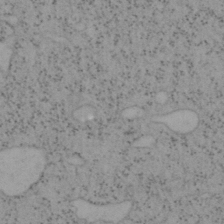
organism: Mouse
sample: OT-I killer T cells with ID8 ovarian cancer cells